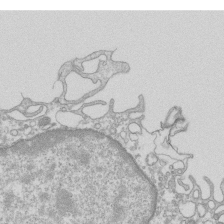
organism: Mouse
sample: Macrophages